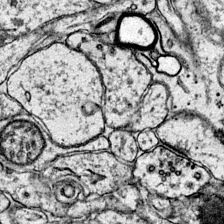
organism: Mouse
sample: Primary visual cortex